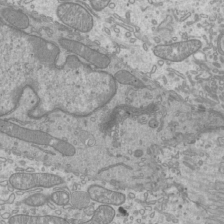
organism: Mouse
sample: Cilia; mouse epididymis